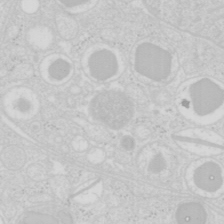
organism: Mouse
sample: Pancreas